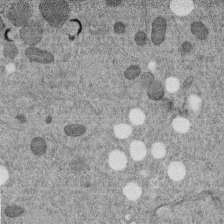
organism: C. elegans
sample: C. elegans embryo early stage